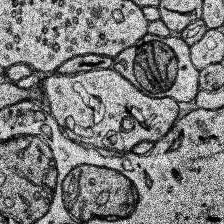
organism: Human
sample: Temporal Lobe